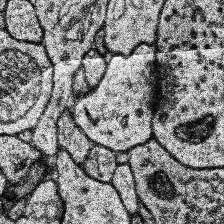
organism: Human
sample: Temporal Lobe